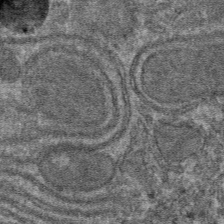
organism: Mouse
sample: Mouse hepatocytes